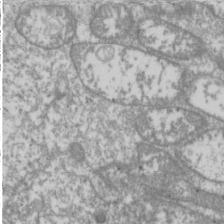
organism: Drosophila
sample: Cell division; meiosis; drosophila spermatocytes